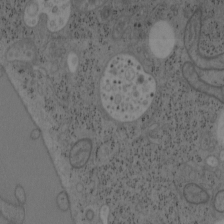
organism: Mouse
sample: OT-I killer T cells with ID8 ovarian cancer cells